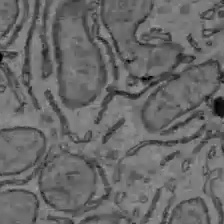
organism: C57BL Mouse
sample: Liver